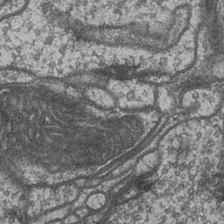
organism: Drosophila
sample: Optic medulla